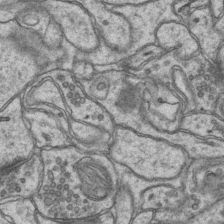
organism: Mouse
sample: CA1 Hippocampus